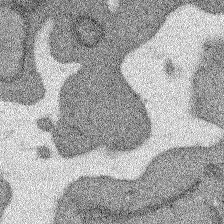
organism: Human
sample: HeLa cells